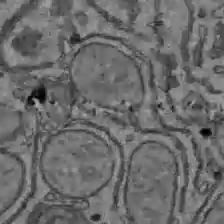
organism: C57BL Mouse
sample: Liver